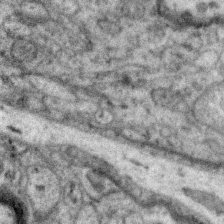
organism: Zebra finch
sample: Brain